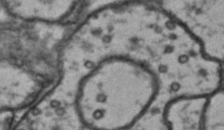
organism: Drosophila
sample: Brain